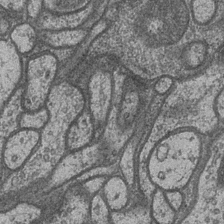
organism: Drosophila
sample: Optic medulla